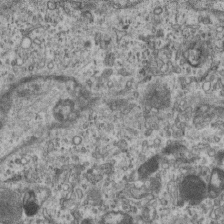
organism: Mouse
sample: Centriole in ependymal cells